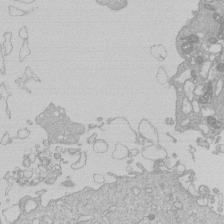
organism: Human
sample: Macrophage cells